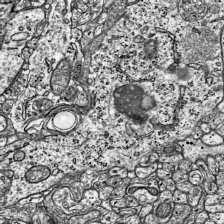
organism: Mouse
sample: Visual Cortex